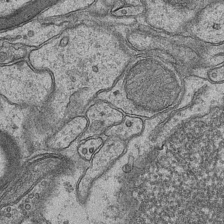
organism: Mouse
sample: CA1 Hippocampus